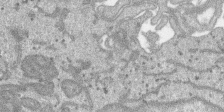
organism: Human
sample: Lung epithelial cells infected with SARS-CoV-2